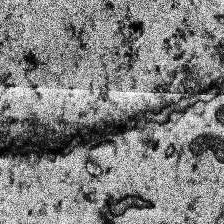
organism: Human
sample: Temporal Lobe